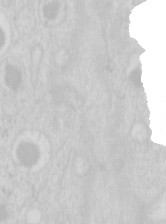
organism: Mouse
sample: Pancreas